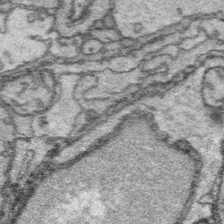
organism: Platynereis dumerilii